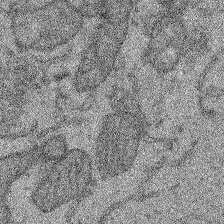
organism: Human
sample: HeLa cells